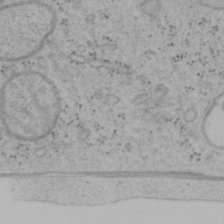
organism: Human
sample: HeLa cells